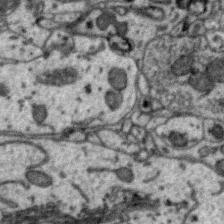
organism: Zebra finch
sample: Brain